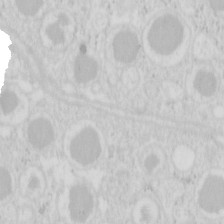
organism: Mouse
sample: Pancreas